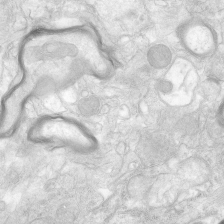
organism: Human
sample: Neocortex